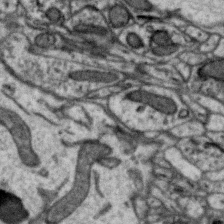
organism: Zebra finch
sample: Brain